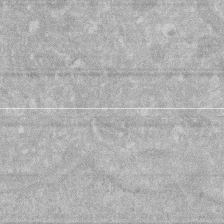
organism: Human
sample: HIV infected U937 cells